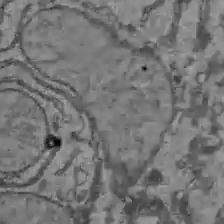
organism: C57BL Mouse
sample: Liver